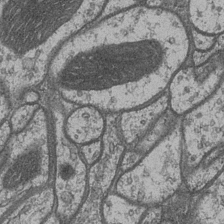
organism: Drosophila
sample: Optic medulla